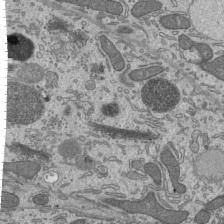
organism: Mouse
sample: Mouse epididymis efferent ductule cilia